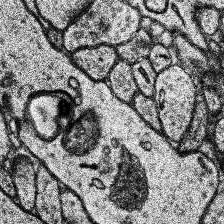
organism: Human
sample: Temporal Lobe